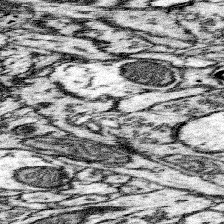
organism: Mouse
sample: Somatosensory cortex neuropil